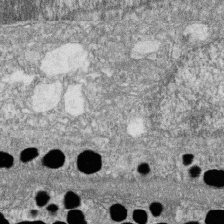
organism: Zebrafish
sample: Cilia; retinal pigment epithelium